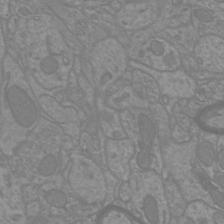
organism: Mouse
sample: Cortical neurons